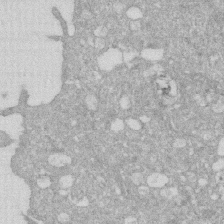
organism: Human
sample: HIV infected U937 cells